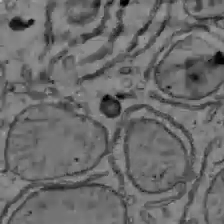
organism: C57BL Mouse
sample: Liver